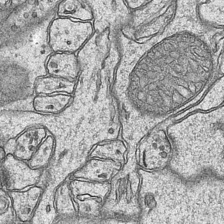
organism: Mouse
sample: CA1 Hippocampus